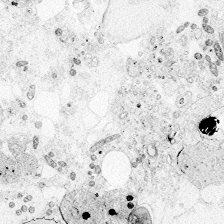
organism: Zebrafish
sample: Whole-Brain